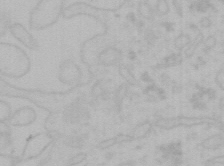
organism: Mouse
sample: Choroid plexus